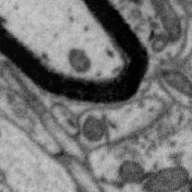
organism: Zebra finch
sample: Brain